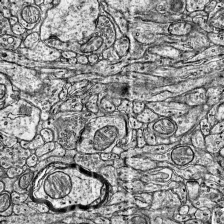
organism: Mouse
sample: Visual Cortex